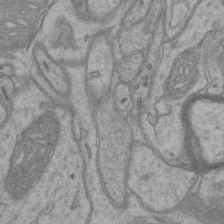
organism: Mouse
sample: CA1 Hippocampus